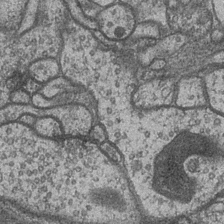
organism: Drosophila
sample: Optic medulla